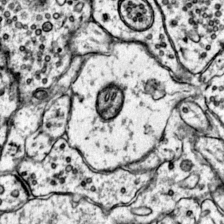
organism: Mouse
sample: Primary visual cortex